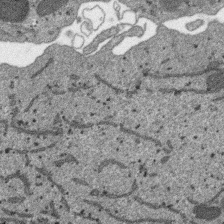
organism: Human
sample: Lung epithelial cells infected with SARS-CoV-2